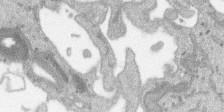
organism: Human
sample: Lung epithelial cells infected with SARS-CoV-2